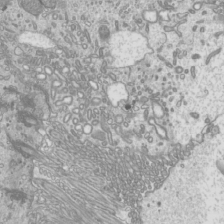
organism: Mouse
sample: Cilia; mouse epididymis